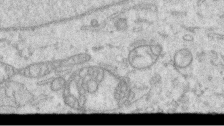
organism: Human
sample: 1205lu cells